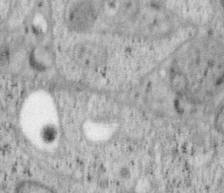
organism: Mouse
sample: OT-I killer T cells with ID8 ovarian cancer cells